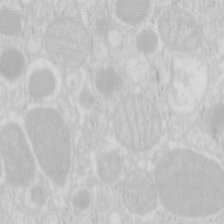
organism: Mouse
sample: Pancreas